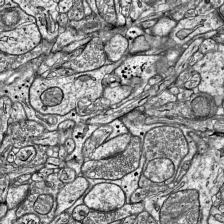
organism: Mouse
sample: Visual Cortex